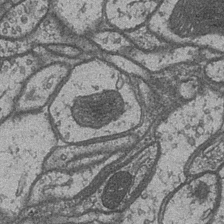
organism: Drosophila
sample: Optic medulla